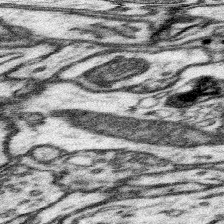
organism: Mouse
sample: Somatosensory cortex neuropil